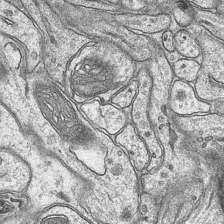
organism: Mouse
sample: CA1 Hippocampus